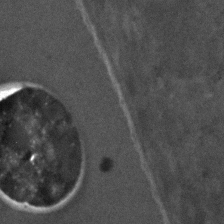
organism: C. elegans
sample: C. elegans embryo